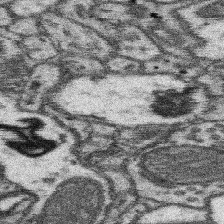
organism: Mouse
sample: Somatosensory cortex neuropil